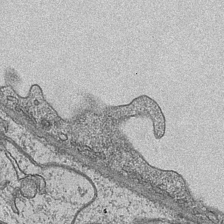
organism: Mouse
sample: CA1 Hippocampus